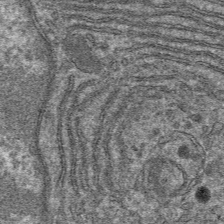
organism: Mouse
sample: Mouse hepatocytes